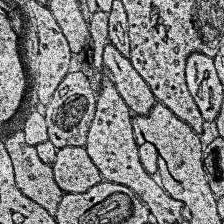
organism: Human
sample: Temporal Lobe